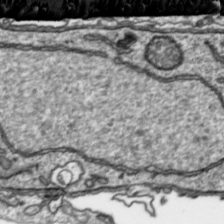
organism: Toxoplasma gondii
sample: Parasites in a vacuole inside a host cell